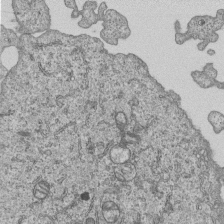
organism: Human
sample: MDA-MB-231 cells